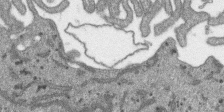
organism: Human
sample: Lung epithelial cells infected with SARS-CoV-2